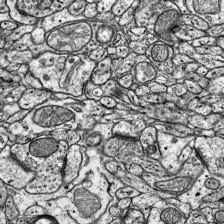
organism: Mouse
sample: Visual Cortex